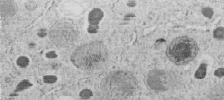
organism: C. elegans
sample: C. elegans embryo early stage